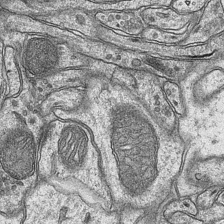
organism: Mouse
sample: CA1 Hippocampus